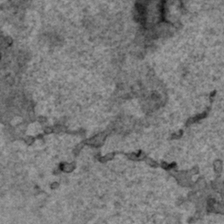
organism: Human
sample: Mitochondria in HCT116 cells